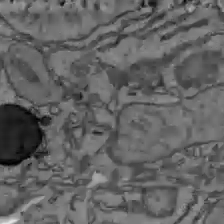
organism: C57BL Mouse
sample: Liver